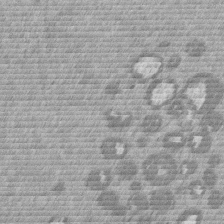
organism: Mouse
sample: Dividing mouse embryo 1 cell stage